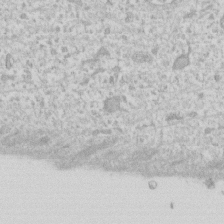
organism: Human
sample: Fibroblast cells